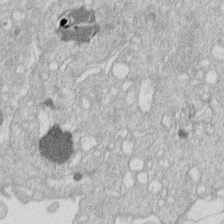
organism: Human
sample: Macrophage cells